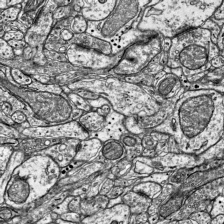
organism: Mouse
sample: Visual Cortex